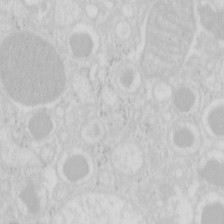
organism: Mouse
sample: Pancreas